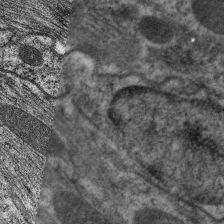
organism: C. elegans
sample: Pharynx